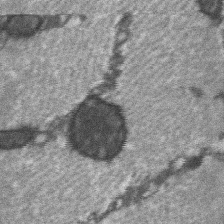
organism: C57BL Mouse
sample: Soleus